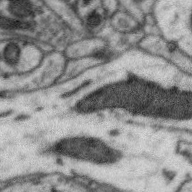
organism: Zebra finch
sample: Brain